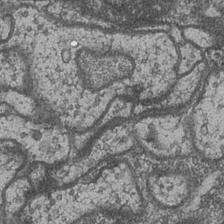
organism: Drosophila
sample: Optic medulla